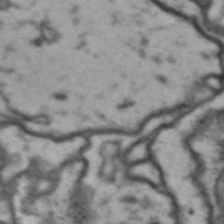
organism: Drosophila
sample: Brain